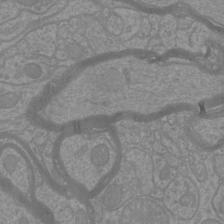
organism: Mouse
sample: Cortical neurons